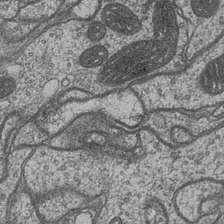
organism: Drosophila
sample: Optic medulla